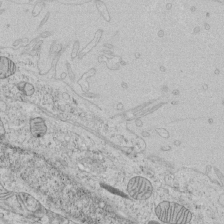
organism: Human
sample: Mitochondria in HCT116 cells